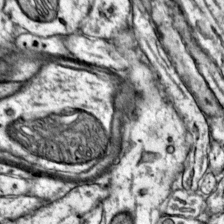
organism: Mouse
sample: Primary visual cortex